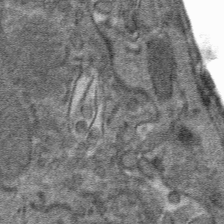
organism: Mouse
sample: Mouse hepatocytes